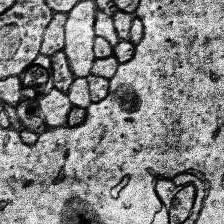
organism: Human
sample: Temporal Lobe